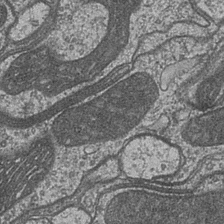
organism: Drosophila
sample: Optic medulla